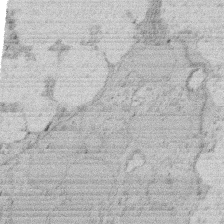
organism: Rat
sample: Salivary granule